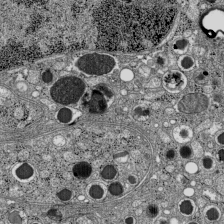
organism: C57BL Mouse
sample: Pancreatic islet